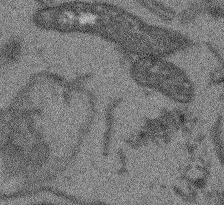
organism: Arabidopsis thaliana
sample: Root tip